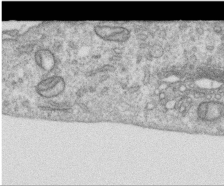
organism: Human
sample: Centriole in RPE cells